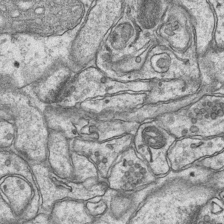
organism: Mouse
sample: CA1 Hippocampus